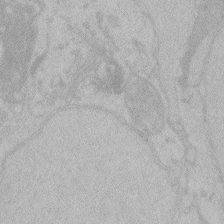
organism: Zebrafish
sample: Macrophage infected with Toxoplasma gondii